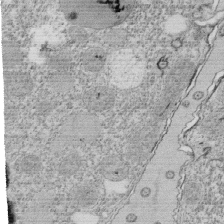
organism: Tetrahymena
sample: Cilia in tetrahymena